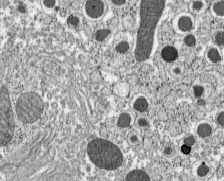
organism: C57BL Mouse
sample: Pancreatic islet